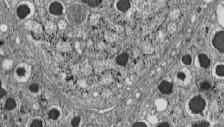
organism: C57BL Mouse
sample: Pancreatic islet